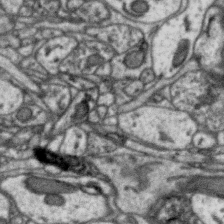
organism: Zebra finch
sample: Brain